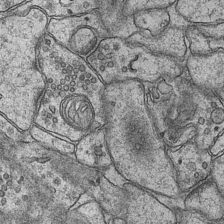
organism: Mouse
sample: CA1 Hippocampus